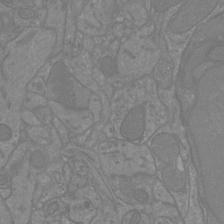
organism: Mouse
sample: Cortical neurons